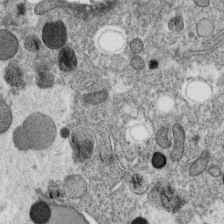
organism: C. elegans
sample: C. elegans oocyte; sperm cells